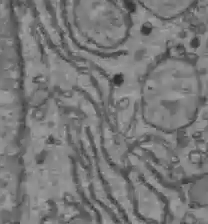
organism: C57BL Mouse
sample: Liver